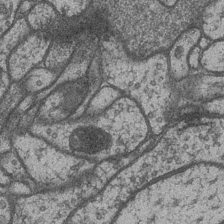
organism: Drosophila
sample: Optic medulla